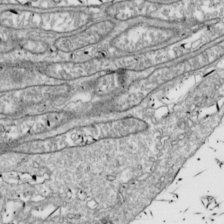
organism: Drosophila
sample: Cell division; meiosis; drosophila spermatocytes